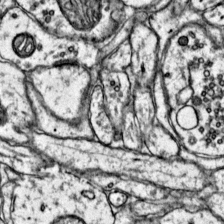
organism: Mouse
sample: Primary visual cortex